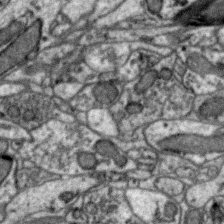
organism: Zebra finch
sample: Brain